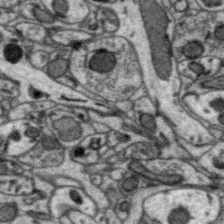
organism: Zebra finch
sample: Brain